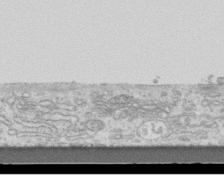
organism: Mouse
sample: Centriole in ependymal cells